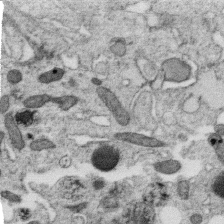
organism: C. elegans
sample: C. elegans oocyte; sperm cells